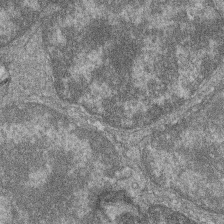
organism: Zebrafish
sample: Cilia; retinal pigment epithelium